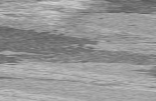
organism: C57BL Mouse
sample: Heart